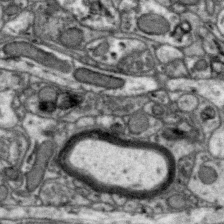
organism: Zebra finch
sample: Brain